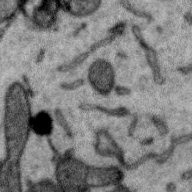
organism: Zebra finch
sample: Brain